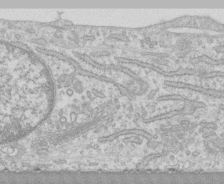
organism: Human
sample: CRL-1474